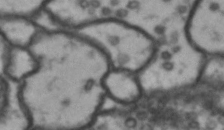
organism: Drosophila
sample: Brain